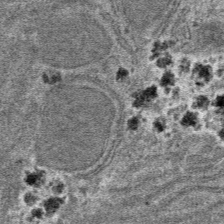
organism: Mouse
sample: Mouse hepatocytes